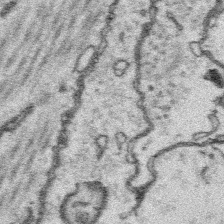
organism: Platynereis dumerilii